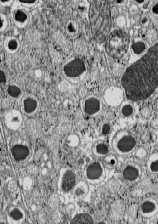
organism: C57BL Mouse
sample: Pancreatic islet